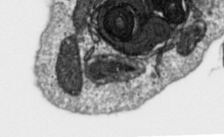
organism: Toxoplasma gondii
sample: Parasites in a vacuole inside a host cell